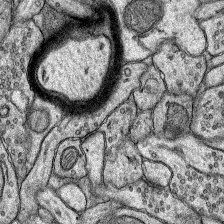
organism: Rat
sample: Hippocampus